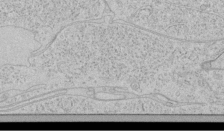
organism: Human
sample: Mitochondria in HCT116 cells